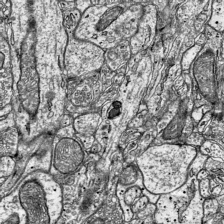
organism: Mouse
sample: Visual Cortex